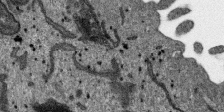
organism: Human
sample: Lung epithelial cells, uninfected (mock) control